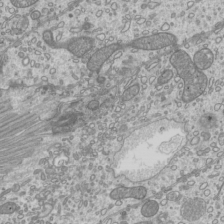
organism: Mouse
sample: Cilia; mouse epididymis